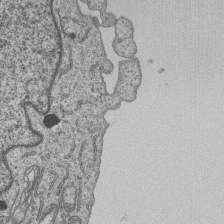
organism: Human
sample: MDA-MB-231 cells